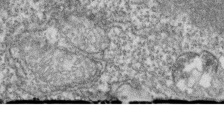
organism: Zebrafish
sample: Cilia; retinal pigment epithelium